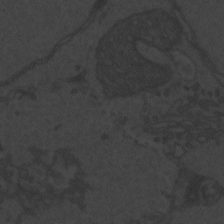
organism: Zebrafish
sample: Macrophage infected with Toxoplasma gondii